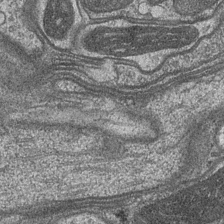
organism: Drosophila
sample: Optic medulla